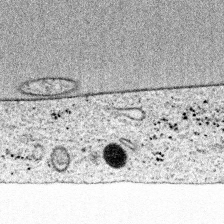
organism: Human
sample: HeLa cells